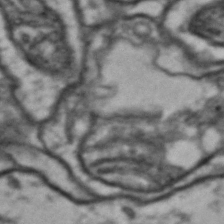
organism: Drosophila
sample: Brain